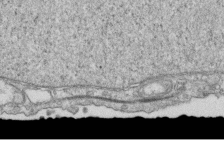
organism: Human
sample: HeLa cell HIV synapse